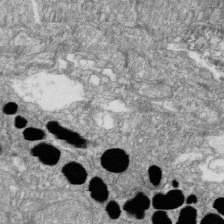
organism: Zebrafish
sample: Cilia; retinal pigment epithelium